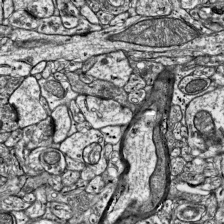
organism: Mouse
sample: Visual Cortex